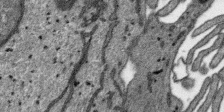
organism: Human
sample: Lung epithelial cells, uninfected (mock) control